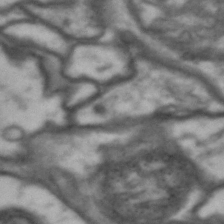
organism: Drosophila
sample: Brain